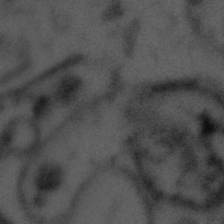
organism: Tuwongella immobilis